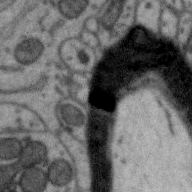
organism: Zebra finch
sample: Brain